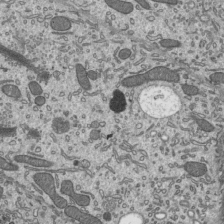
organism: Mouse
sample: Mouse epididymis efferent ductule cilia